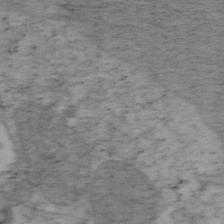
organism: Mouse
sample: OT-I killer T cells with ID8 ovarian cancer cells